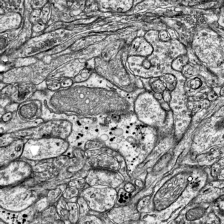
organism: Mouse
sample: Visual Cortex